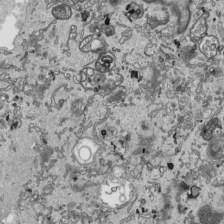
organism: Human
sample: Mitochondria in HCT116 cells